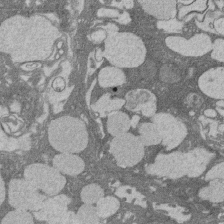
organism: Rat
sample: Salivary granule